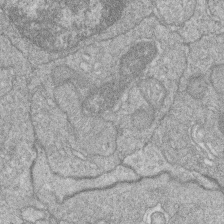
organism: Zebrafish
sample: Cilia; retinal pigment epithelium